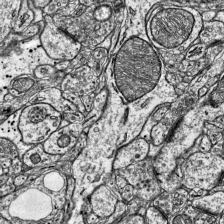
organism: Mouse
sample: Visual Cortex